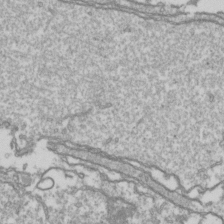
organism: Drosophila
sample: Cell division; meiosis; drosophila spermatocytes